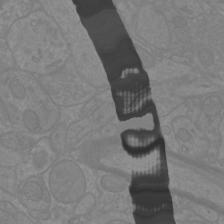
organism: Mouse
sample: Cortical neurons